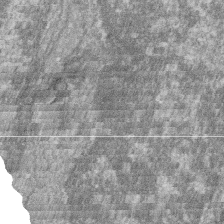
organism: Zebrafish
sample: Cilia; retinal pigment epithelium